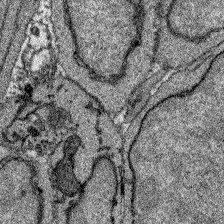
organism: Zebrafish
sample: Larval olfactory bulb